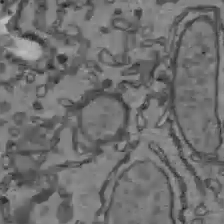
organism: C57BL Mouse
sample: Liver